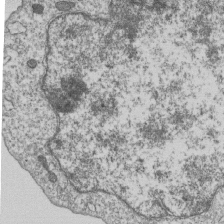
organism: Human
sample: MDA-MB-231 cells